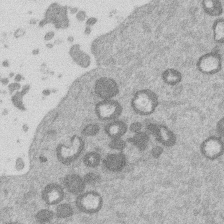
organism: Mouse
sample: Dividing mouse embryo 1 cell stage